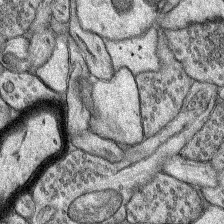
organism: Rat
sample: Hippocampus